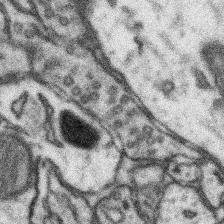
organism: Mouse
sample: Somatosensory cortex neuropil